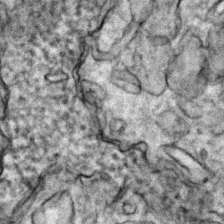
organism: Zebrafish